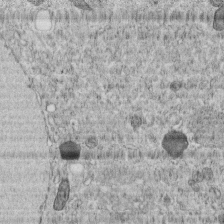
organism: C. elegans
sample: C. elegans embryo early stage